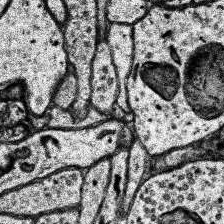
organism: Human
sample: Temporal Lobe